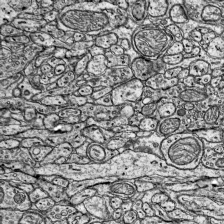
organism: Mouse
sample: Visual Cortex